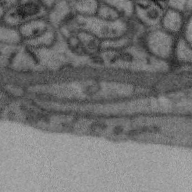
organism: Zebra finch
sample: Brain